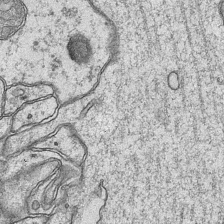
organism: Mouse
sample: CA1 Hippocampus